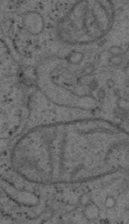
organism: Human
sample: HeLa cells